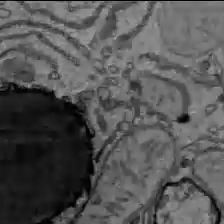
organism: C57BL Mouse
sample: Liver